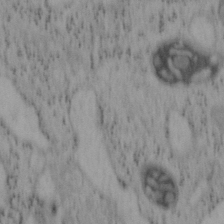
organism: Mouse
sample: OT-I killer T cells with ID8 ovarian cancer cells